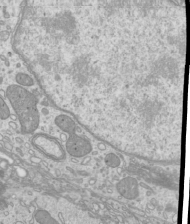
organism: Mouse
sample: Cilia; mouse epididymis